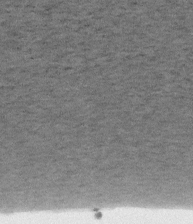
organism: Mouse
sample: OT-I killer T cells with ID8 ovarian cancer cells